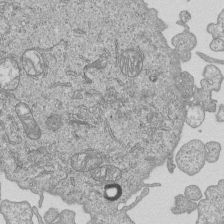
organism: Human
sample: MDA-MB-231 cells